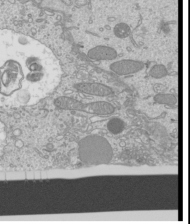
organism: Mouse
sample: Cilia; mouse epididymis